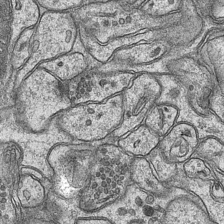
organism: Mouse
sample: CA1 Hippocampus